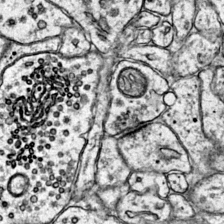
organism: Mouse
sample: Primary visual cortex